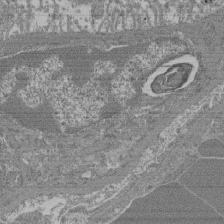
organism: Mouse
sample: Glomerulus